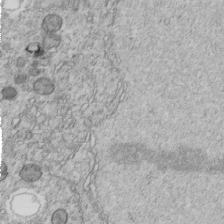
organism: C. elegans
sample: C. elegans embryo early stage